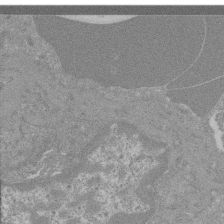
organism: Mouse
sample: Glomerulus